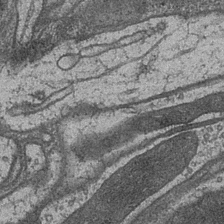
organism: Drosophila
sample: Optic medulla